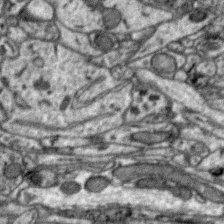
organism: Zebra finch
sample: Brain